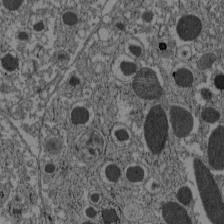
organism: C57BL Mouse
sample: Pancreatic islet